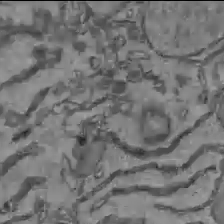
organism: C57BL Mouse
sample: Liver